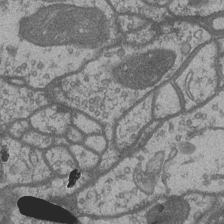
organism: Drosophila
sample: Optic medulla